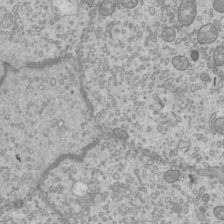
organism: Mouse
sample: Cilia; mouse epididymis